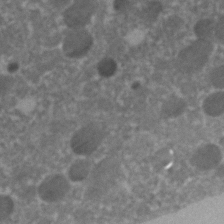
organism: C. elegans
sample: C. elegans embryo